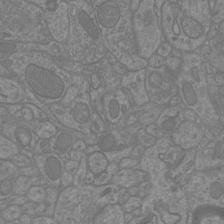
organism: Mouse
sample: Cortical neurons